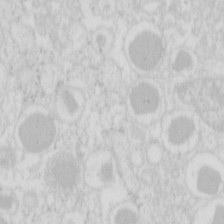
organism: Mouse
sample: Pancreas